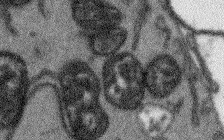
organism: Arabidopsis thaliana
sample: Root tip